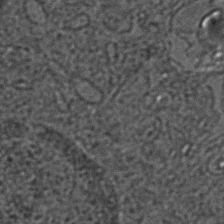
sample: Trachea